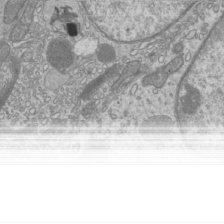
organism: Mouse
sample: Cilia; mouse epididymis